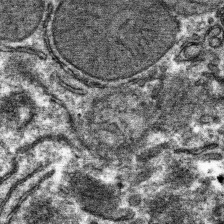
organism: Mouse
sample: Mouse hepatocytes